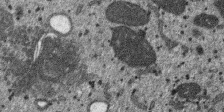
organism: Human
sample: Lung epithelial cells infected with SARS-CoV-2